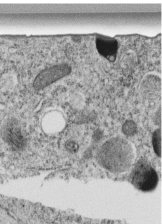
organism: C. elegans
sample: C. elegans embryo early stage